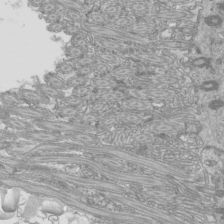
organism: Mouse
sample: Cilia; mouse epididymis